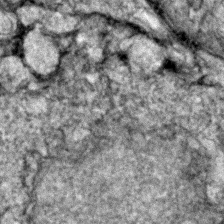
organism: Zebrafish